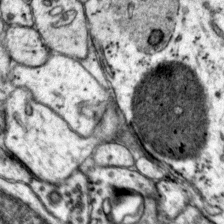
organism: Mouse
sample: Primary visual cortex